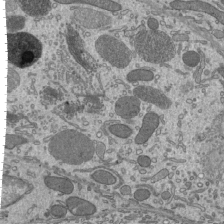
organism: Mouse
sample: Mouse epididymis efferent ductule cilia